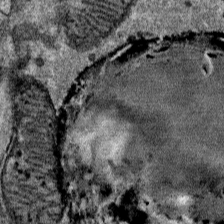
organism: Mouse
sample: Mouse Salivary gland